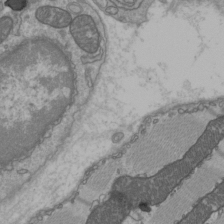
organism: C57BL Mouse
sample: Heart